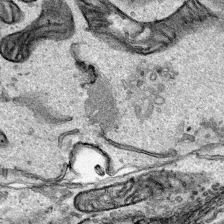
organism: Human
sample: Mitochondria in HCT116 cells